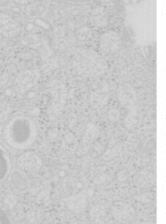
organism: Mouse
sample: Pancreas